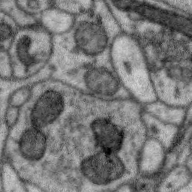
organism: Zebra finch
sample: Brain